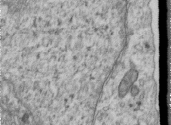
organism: Human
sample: Centriole in RPE cells